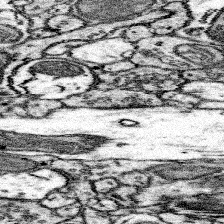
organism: Mouse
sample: Somatosensory cortex neuropil